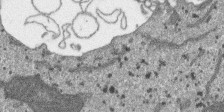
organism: Human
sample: Lung epithelial cells infected with SARS-CoV-2